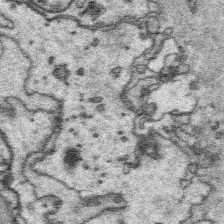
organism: Platynereis dumerilii